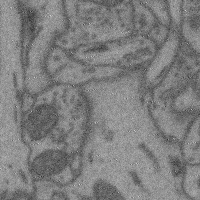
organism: Mouse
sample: Cerebral cortex